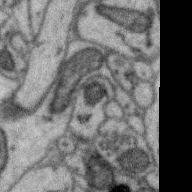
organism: Zebra finch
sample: Brain